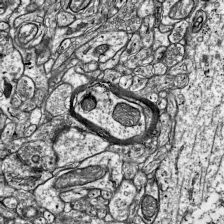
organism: Mouse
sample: Visual Cortex